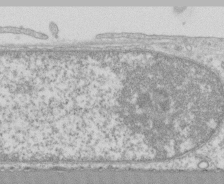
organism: Human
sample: CRL-1474